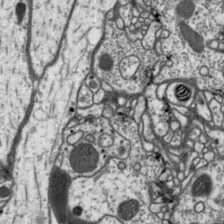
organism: Drosophila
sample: Protocerebral bridge